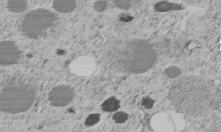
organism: C. elegans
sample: C. elegans embryo early stage